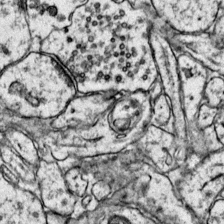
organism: Mouse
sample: Primary visual cortex